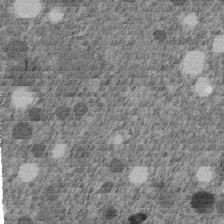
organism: C. elegans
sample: C. elegans embryo early stage